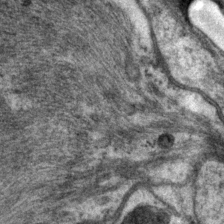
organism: P. pacificus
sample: Pharynx